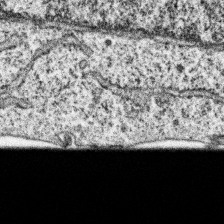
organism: Human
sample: HeLa cells